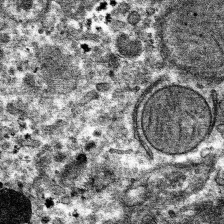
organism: Mouse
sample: Mouse hepatocytes